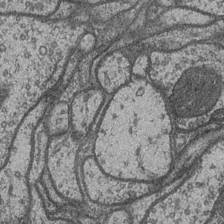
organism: Drosophila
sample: Optic medulla